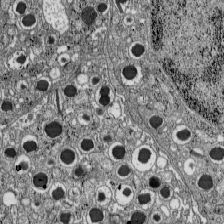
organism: C57BL Mouse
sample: Pancreatic islet